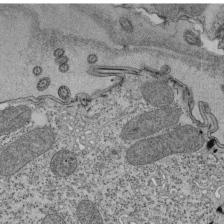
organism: Tetrahymena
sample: Cilia in tetrahymena